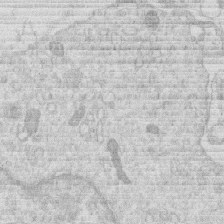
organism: Human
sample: Macrophage cells